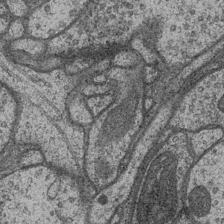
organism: Drosophila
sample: Optic medulla